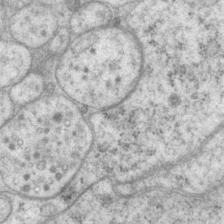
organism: P. pacificus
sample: Pharynx